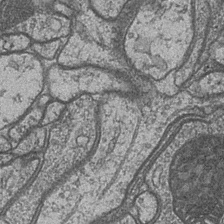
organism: Drosophila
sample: Optic medulla